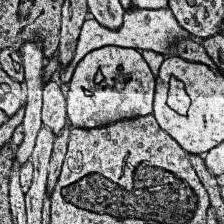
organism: Human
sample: Temporal Lobe